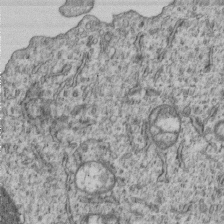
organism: Human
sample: MDA-MB-231 cells